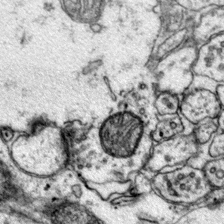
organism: Mouse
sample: Primary visual cortex